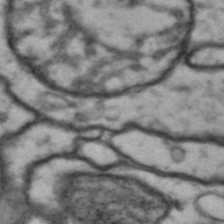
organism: Drosophila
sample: Brain